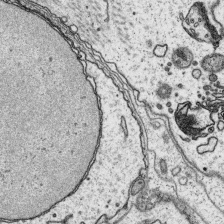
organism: Platynereis dumerilii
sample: Parapodia